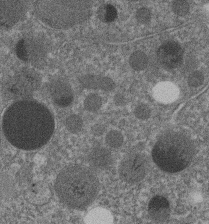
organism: C. elegans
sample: C. elegans embryo early stage